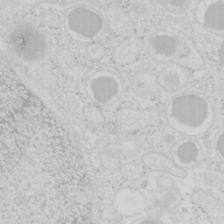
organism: Mouse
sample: Pancreas